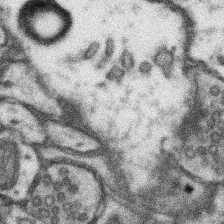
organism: Mouse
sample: Somatosensory cortex neuropil